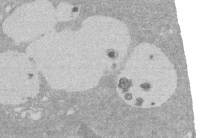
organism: Rat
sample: Salivary granule